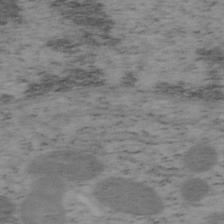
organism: Mouse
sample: OT-I killer T cells with ID8 ovarian cancer cells